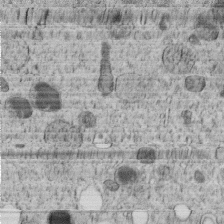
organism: C. elegans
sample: C. elegans embryo early stage